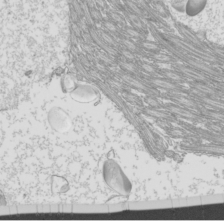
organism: Mouse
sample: Cilia; mouse epididymis